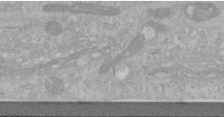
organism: Human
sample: Centriole in RPE cells